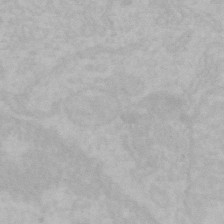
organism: Mouse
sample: Choroid plexus